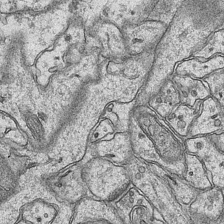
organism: Mouse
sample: CA1 Hippocampus